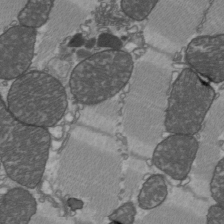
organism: C57BL Mouse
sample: Heart